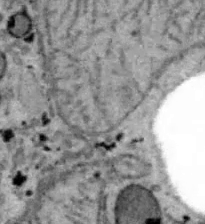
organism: Mouse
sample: Liver from an obese (ob/ob) mouse